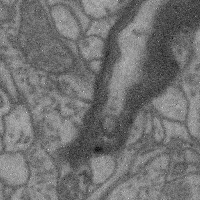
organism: Mouse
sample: Cerebral cortex